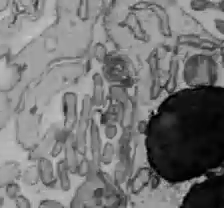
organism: C57BL Mouse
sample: Liver